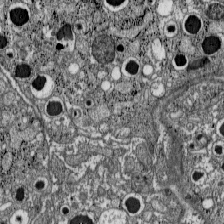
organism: C57BL Mouse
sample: Pancreatic islet